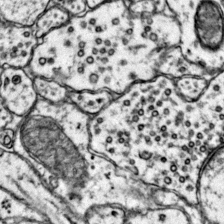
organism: Mouse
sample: Primary visual cortex